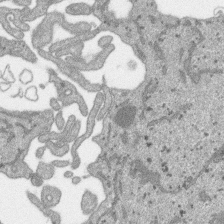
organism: Human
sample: Lung epithelial cells infected with SARS-CoV-2